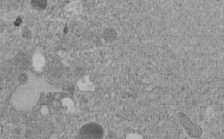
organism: C. elegans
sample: C. elegans embryo early stage